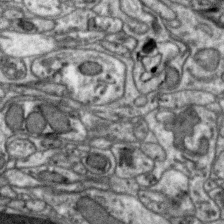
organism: Zebra finch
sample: Brain